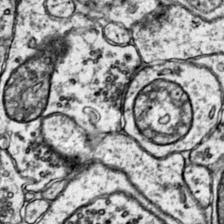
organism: Mouse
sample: Primary visual cortex